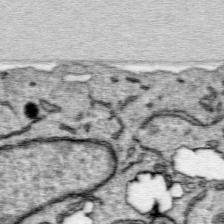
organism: Human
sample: HeLa cells